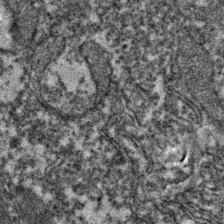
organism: Zebrafish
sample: Zebrafish embryo